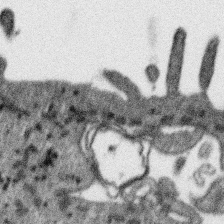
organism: Human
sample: Lung epithelial cells infected with SARS-CoV-2